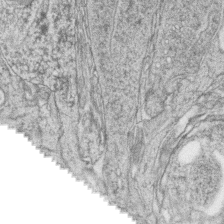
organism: Zebrafish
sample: synaptic ribbons in rod cells and cone cells